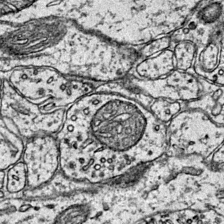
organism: Mouse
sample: Primary visual cortex